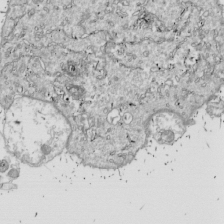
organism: Drosophila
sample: Cell division; meiosis; drosophila spermatocytes